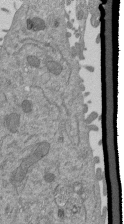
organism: Mouse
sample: ED-1 cell nuclei; centrioles